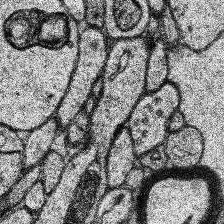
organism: Human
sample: Temporal Lobe